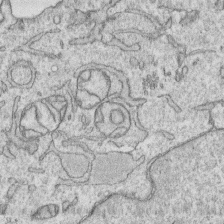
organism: Human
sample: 1205lu cells